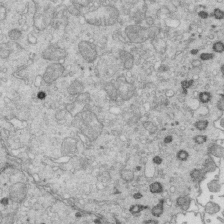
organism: Mouse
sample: Multiciliated cells